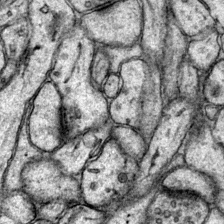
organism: Mouse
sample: Primary visual cortex